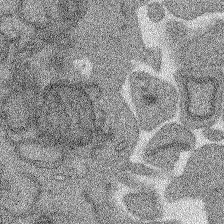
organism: Human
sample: HeLa cells